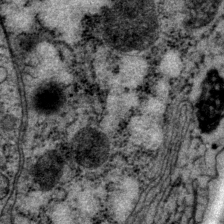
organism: P. pacificus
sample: Pharynx